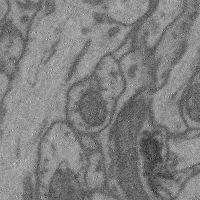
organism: Mouse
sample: Cerebral cortex